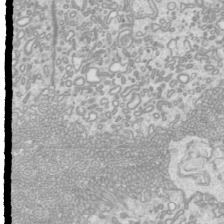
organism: Mouse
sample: Cilia; mouse epididymis